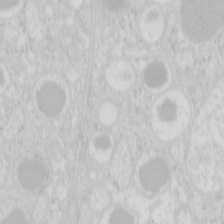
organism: Mouse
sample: Pancreas